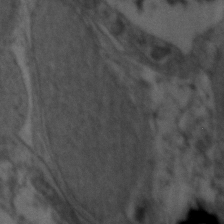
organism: Zebrafish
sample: Zebrafish embryo